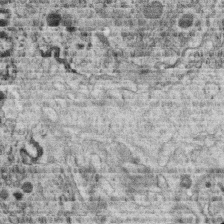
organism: C. elegans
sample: C. elegans oocyte; sperm cells